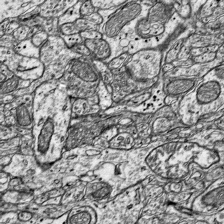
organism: Mouse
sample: Visual Cortex